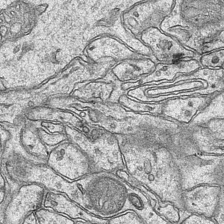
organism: Mouse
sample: CA1 Hippocampus